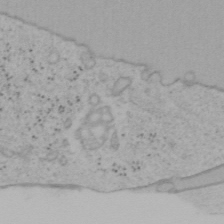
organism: Human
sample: HeLa cells